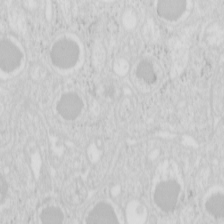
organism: Mouse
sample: Pancreas